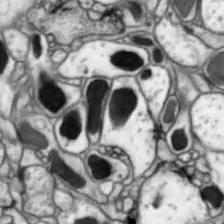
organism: Drosophila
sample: Optic lobe